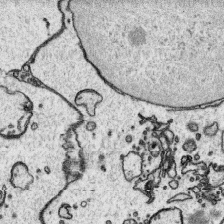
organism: Platynereis dumerilii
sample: Parapodia